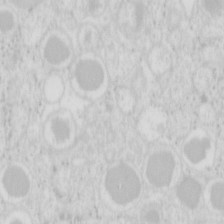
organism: Mouse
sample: Pancreas